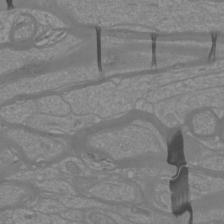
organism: Mouse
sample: Cortical neurons